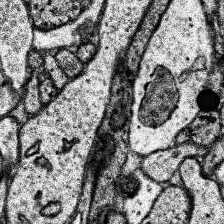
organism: Human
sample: Temporal Lobe